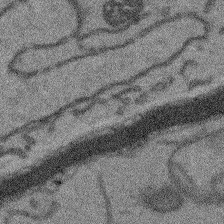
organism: Arabidopsis thaliana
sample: Root tip